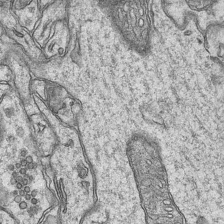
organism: Mouse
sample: CA1 Hippocampus